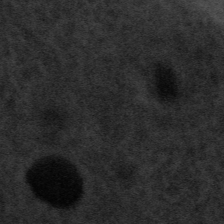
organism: Tuwongella immobilis